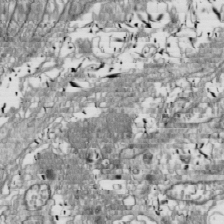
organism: Drosophila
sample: Cell division; meiosis; drosophila spermatocytes